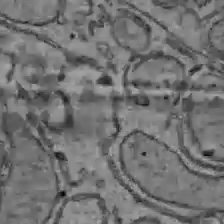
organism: C57BL Mouse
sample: Liver